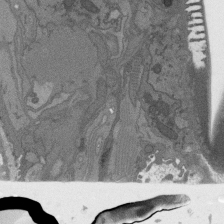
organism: C. elegans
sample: AFD neurons C. elegans